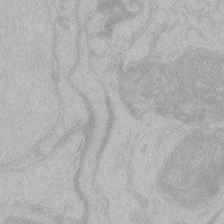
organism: Zebrafish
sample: Macrophage infected with Toxoplasma gondii